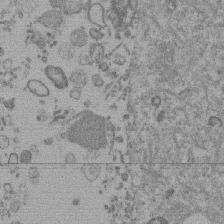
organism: Mouse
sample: Dividing mouse embryo 1 cell stage